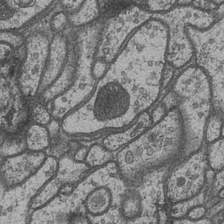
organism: Drosophila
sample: Optic medulla